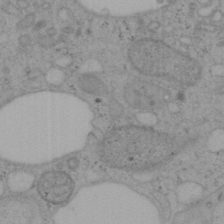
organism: Mouse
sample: OT-I killer T cells with ID8 ovarian cancer cells